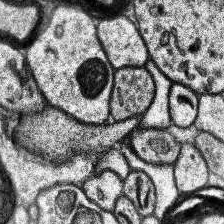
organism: Human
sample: Temporal Lobe